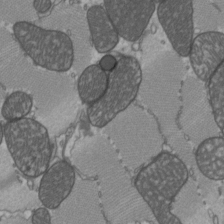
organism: C57BL Mouse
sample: Heart